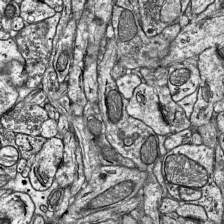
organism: Mouse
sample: Visual Cortex